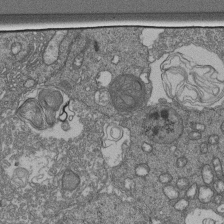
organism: Human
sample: Retinal organoid Rod and Cone cells